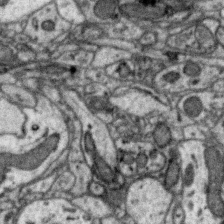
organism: Zebra finch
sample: Brain